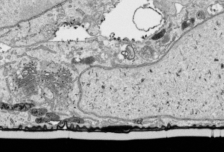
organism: Human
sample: Mitochondria in HCT116 cells